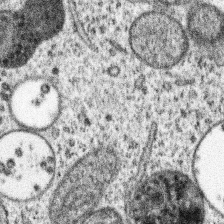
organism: Human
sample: HeLa cells